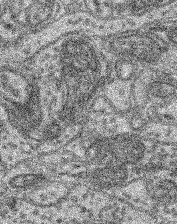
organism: Mouse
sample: Retina